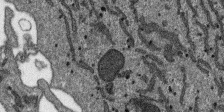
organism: Human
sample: Lung epithelial cells infected with SARS-CoV-2